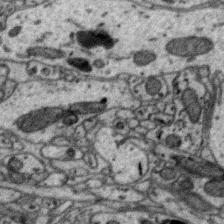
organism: Zebra finch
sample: Brain